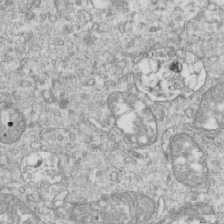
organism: Mouse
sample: Activated OT-1 CD8+ T cells